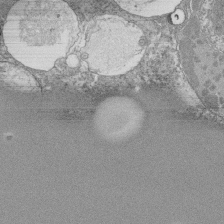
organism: Tetrahymena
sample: Cilia in tetrahymena